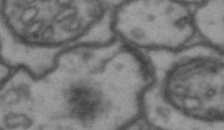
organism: Drosophila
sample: Brain